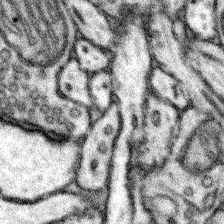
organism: Mouse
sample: Somatosensory cortex neuropil